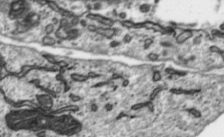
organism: Toxoplasma gondii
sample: Parasites in a vacuole inside a host cell